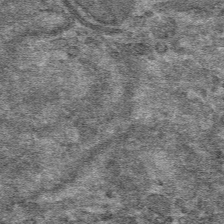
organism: Mouse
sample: Mouse hepatocytes